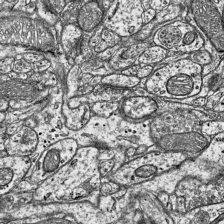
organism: Mouse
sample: Visual Cortex